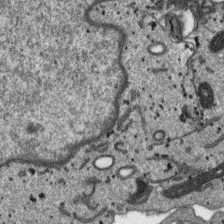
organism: Human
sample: Lung epithelial cells infected with SARS-CoV-2